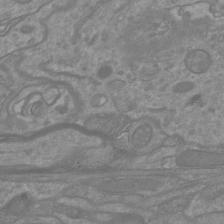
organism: Mouse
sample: Cortical neurons